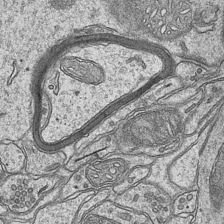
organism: Mouse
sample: CA1 Hippocampus